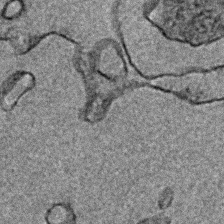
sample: Trachea